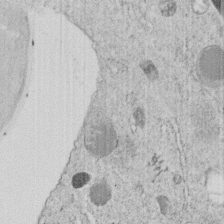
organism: C. elegans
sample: C. elegans embryo early stage